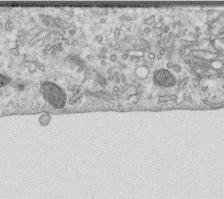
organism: Human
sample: Centriole in RPE cells